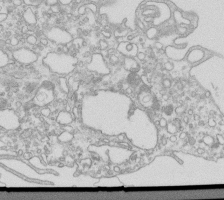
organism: Mouse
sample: Macrophages